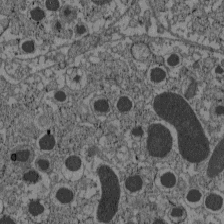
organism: C57BL Mouse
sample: Pancreatic islet